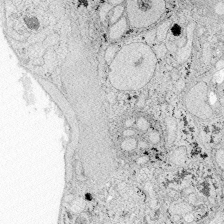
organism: Zebrafish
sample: Whole-Brain